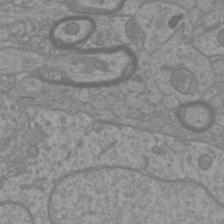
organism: Mouse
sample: Cortical neurons